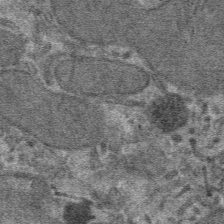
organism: Mouse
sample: Mouse hepatocytes